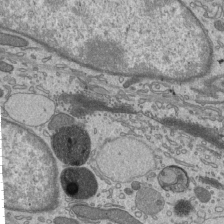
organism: Mouse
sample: Mouse epididymis efferent ductule cilia